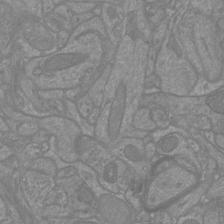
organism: Mouse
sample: Cortical neurons